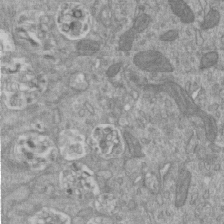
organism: Mouse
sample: ED-1 cell nuclei; centrioles